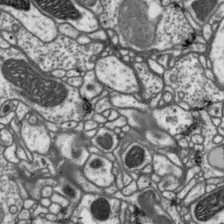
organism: Drosophila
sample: Protocerebral bridge